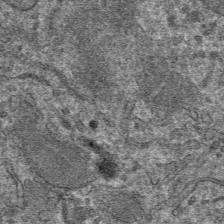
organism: Mouse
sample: Mouse hepatocytes